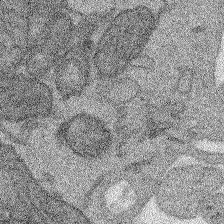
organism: Human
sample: HeLa cells